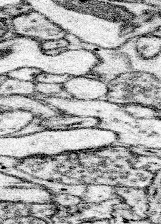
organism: Mouse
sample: Somatosensory cortex neuropil